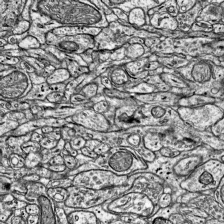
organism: Mouse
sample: Visual Cortex